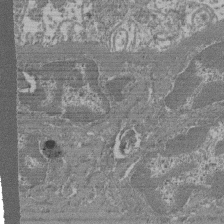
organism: Mouse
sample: Glomerulus